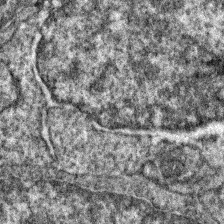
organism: Zebrafish